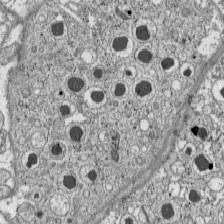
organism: C57BL Mouse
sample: Pancreatic islet